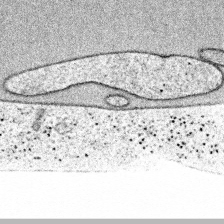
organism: Human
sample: HeLa cells